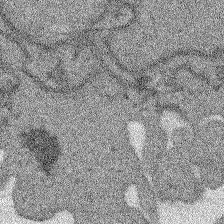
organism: Human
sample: HeLa cells